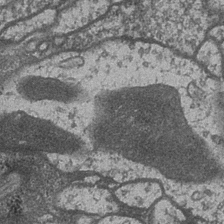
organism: Drosophila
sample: Optic medulla